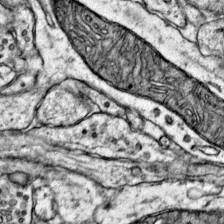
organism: Mouse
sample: Primary visual cortex